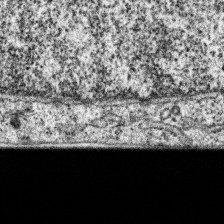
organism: Human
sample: HeLa cells